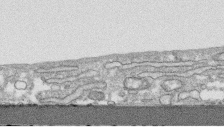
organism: Human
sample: CRL-1474